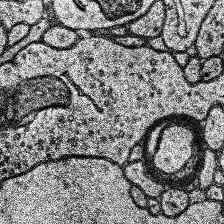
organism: Human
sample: Temporal Lobe